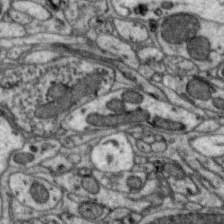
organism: Zebra finch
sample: Brain